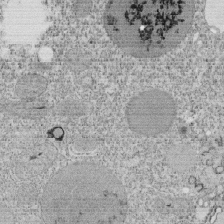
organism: Tetrahymena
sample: Cilia in tetrahymena